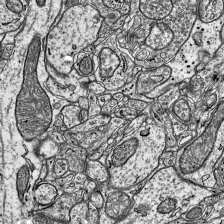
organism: Mouse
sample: Visual Cortex